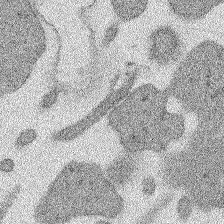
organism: Human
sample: HeLa cells